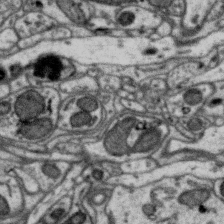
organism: Zebra finch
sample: Brain